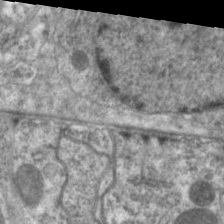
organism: C. elegans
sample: Pharynx